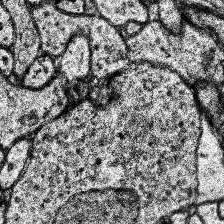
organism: Human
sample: Temporal Lobe